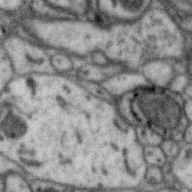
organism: Zebra finch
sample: Brain